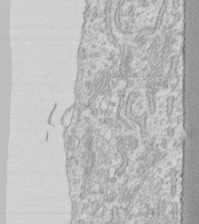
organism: Human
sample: Fibroblast cells